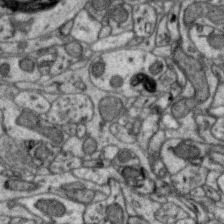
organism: Zebra finch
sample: Brain